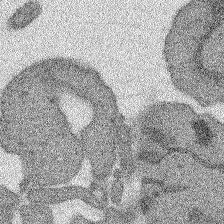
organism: Human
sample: HeLa cells